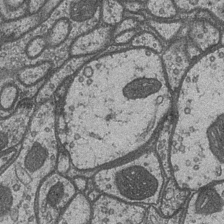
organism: Drosophila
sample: Optic medulla